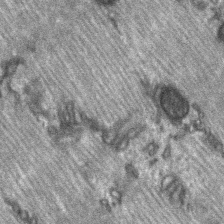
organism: C57BL Mouse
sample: Soleus